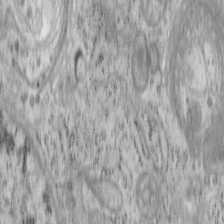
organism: Human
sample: HeLa cells